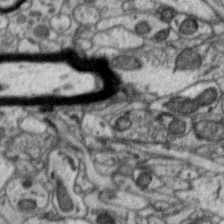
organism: Zebra finch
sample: Brain